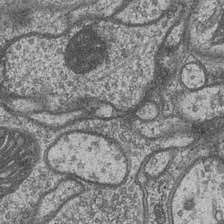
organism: Drosophila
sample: Optic medulla